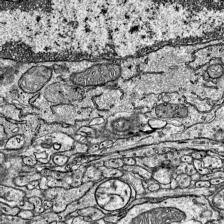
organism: Mouse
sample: Visual Cortex